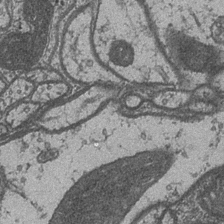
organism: Drosophila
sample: Optic medulla